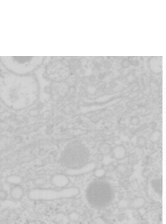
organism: Mouse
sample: Pancreas